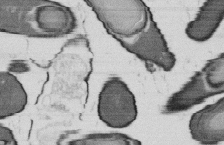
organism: B. subtilis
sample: Bacterial spore